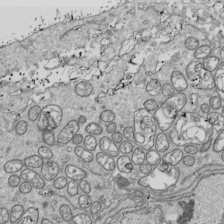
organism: Drosophila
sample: Cell division; meiosis; drosophila spermatocytes